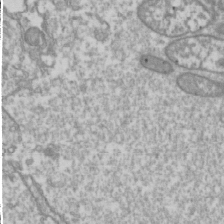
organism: Drosophila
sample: Cell division; meiosis; drosophila spermatocytes